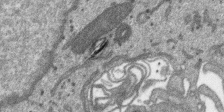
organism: Human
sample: Lung epithelial cells infected with SARS-CoV-2